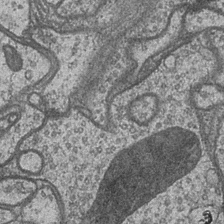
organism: Drosophila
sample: Optic medulla